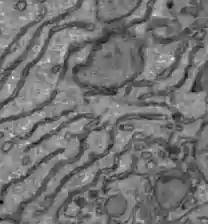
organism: C57BL Mouse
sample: Liver